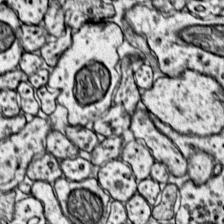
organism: Mouse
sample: Primary visual cortex